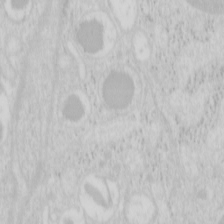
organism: Mouse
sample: Pancreas